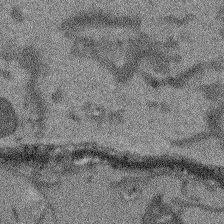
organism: Arabidopsis thaliana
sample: Root tip